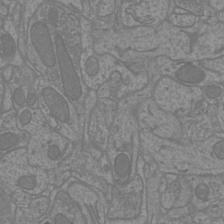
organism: Mouse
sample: Cortical neurons